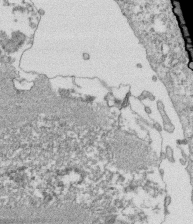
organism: Human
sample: HeLa cell HIV synapse